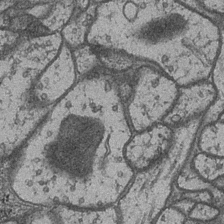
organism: Drosophila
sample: Optic medulla